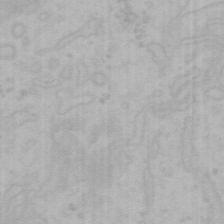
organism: Mouse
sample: Choroid plexus